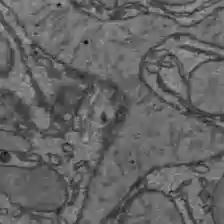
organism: C57BL Mouse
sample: Liver